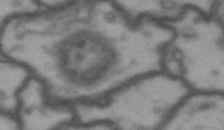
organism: Drosophila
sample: Brain